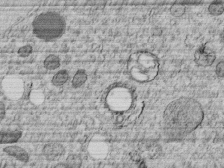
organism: C. elegans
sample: C. elegans embryo early stage